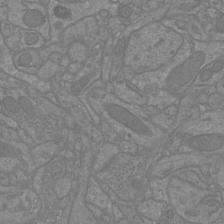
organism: Mouse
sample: Cortical neurons